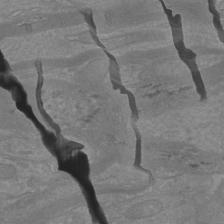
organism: Mouse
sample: Cortical neurons